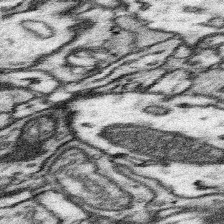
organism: Mouse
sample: Somatosensory cortex neuropil